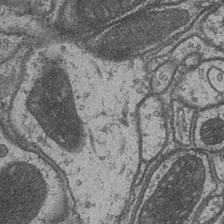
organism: Drosophila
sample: Optic medulla